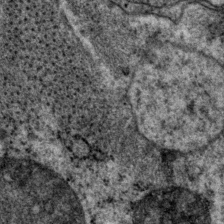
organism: P. pacificus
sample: Pharynx